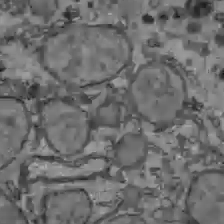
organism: C57BL Mouse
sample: Liver